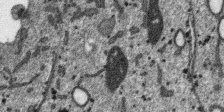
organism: Human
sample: Lung epithelial cells infected with SARS-CoV-2